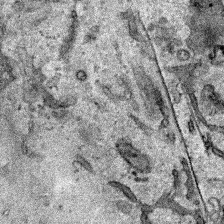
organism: Human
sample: Mitochondria in HCT116 cells